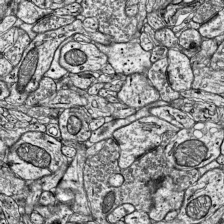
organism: Mouse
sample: Visual Cortex